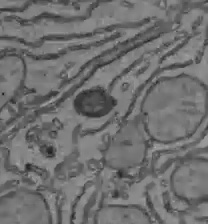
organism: C57BL Mouse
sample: Liver